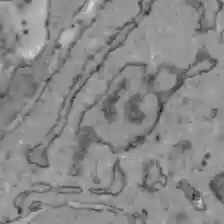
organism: C57BL Mouse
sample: Liver